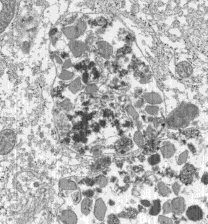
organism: C57BL Mouse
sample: Pancreatic islet